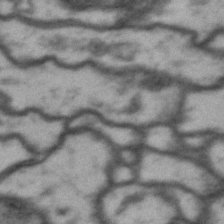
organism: Drosophila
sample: Brain